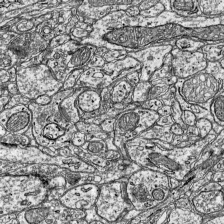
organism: Mouse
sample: Visual Cortex